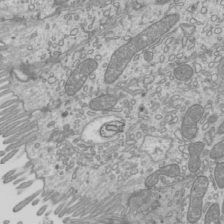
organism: Mouse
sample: Cilia; mouse epididymis